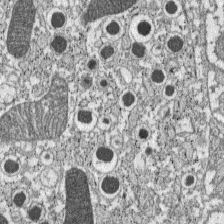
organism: C57BL Mouse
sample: Pancreatic islet